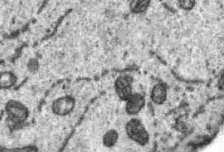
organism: Human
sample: HeLa cells